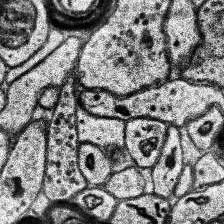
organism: Human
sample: Temporal Lobe